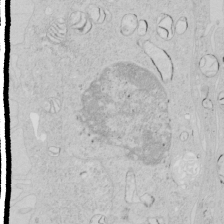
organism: Human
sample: Mitochondria in HCT116 cells